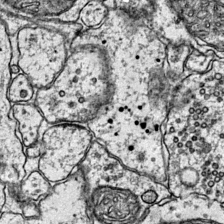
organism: Mouse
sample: Primary visual cortex